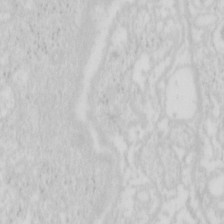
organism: Mouse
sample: Pancreas